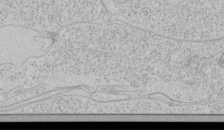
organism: Human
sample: Mitochondria in HCT116 cells